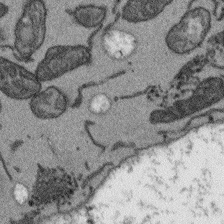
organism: Arabidopsis thaliana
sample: Root tip